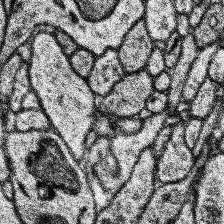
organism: Human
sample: Temporal Lobe